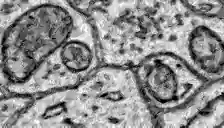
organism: Zebrafish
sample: Brain